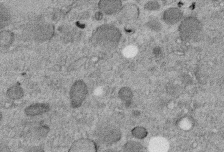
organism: C. elegans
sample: C. elegans embryo early stage